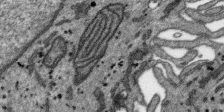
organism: Human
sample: Lung epithelial cells, uninfected (mock) control